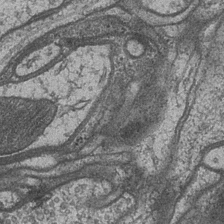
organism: Drosophila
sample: Optic medulla